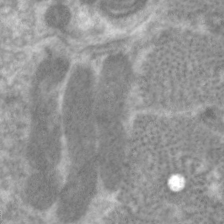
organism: C. elegans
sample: Pharynx